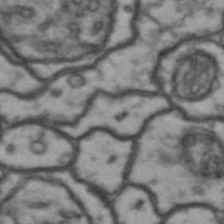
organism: Drosophila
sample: Brain